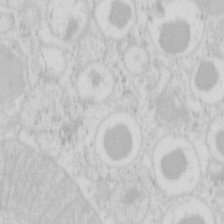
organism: Mouse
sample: Pancreas